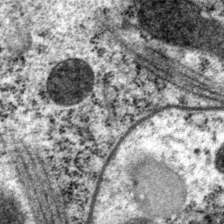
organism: P. pacificus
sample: Pharynx